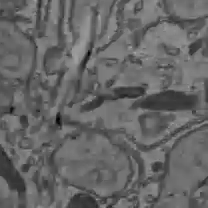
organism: C57BL Mouse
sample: Liver